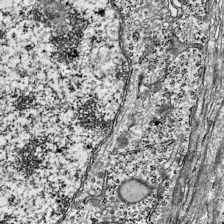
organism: Mouse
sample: Visual Cortex